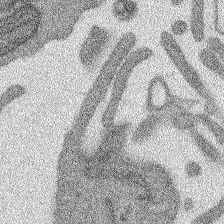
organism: Human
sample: HeLa cells